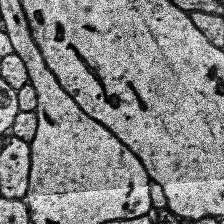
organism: Human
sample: Temporal Lobe